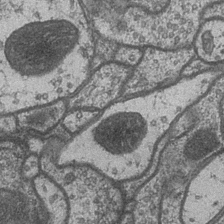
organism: Drosophila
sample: Optic medulla